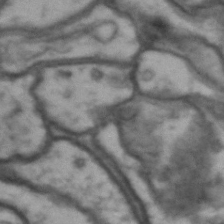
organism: Drosophila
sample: Brain